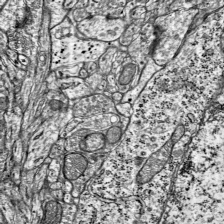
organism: Mouse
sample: Visual Cortex